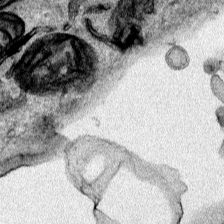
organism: Human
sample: Mitochondria in HCT116 cells